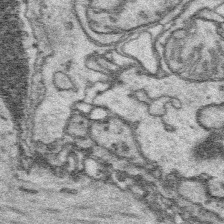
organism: Platynereis dumerilii